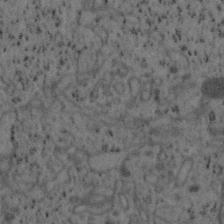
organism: Human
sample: HeLa cells